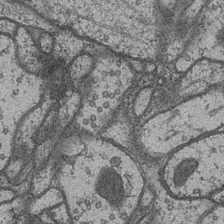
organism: Drosophila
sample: Optic medulla